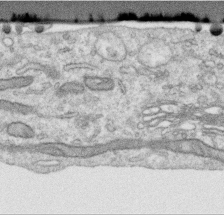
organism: Human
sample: Centriole in RPE cells